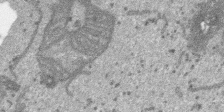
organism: Human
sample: Lung epithelial cells infected with SARS-CoV-2